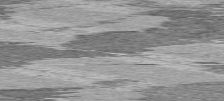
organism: C57BL Mouse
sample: Heart